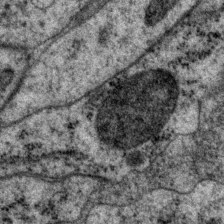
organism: P. pacificus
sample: Pharynx